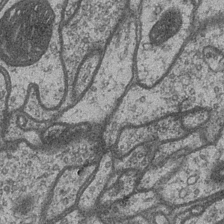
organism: Drosophila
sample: Optic medulla